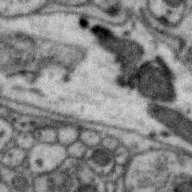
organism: Zebra finch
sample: Brain